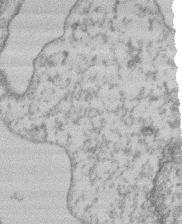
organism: Mouse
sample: T cell stromal cell synapse